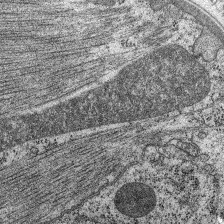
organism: C. elegans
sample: Pharynx